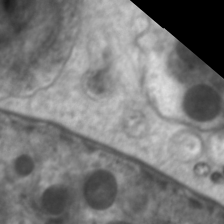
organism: C. elegans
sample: Pharynx